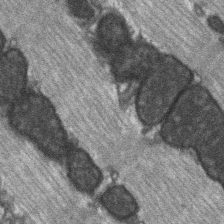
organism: C57BL Mouse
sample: Soleus